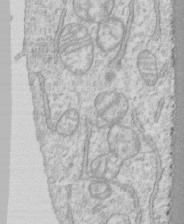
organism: Human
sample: CRL-1474